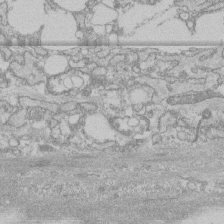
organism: Human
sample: CRL-1474